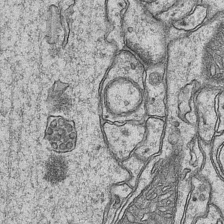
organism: Mouse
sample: CA1 Hippocampus